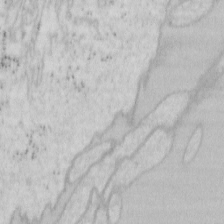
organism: Human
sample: HeLa cells